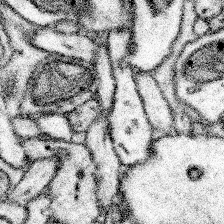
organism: Mouse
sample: Somatosensory cortex neuropil